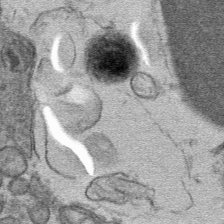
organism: Mouse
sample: Mouse hepatocytes